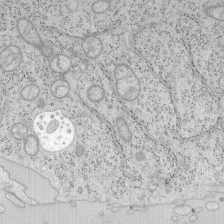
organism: Mouse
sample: OT-I killer T cells with ID8 ovarian cancer cells